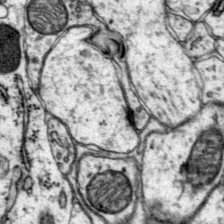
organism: Mouse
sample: Primary visual cortex